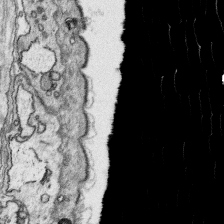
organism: Platynereis dumerilii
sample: Parapodia